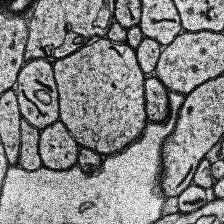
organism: Human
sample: Temporal Lobe